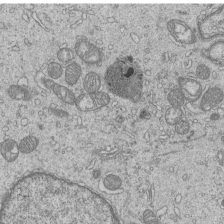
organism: Human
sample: MDA-MB-231 cells